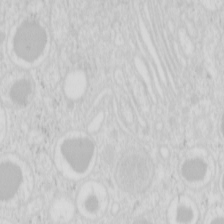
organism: Mouse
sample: Pancreas